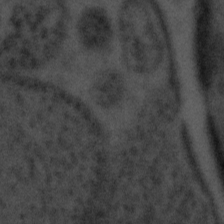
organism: Tuwongella immobilis